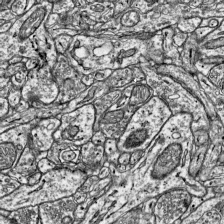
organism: Mouse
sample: Visual Cortex